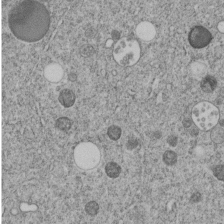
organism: C. elegans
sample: C. elegans embryo early stage